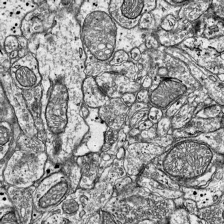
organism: Mouse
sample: Visual Cortex